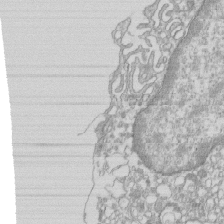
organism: Mouse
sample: Macrophages